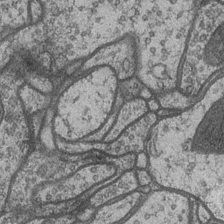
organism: Drosophila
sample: Optic medulla